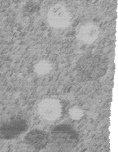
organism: C. elegans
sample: C. elegans embryo early stage